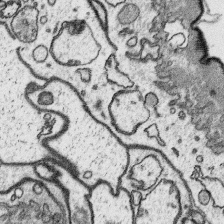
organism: Platynereis dumerilii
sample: Parapodia